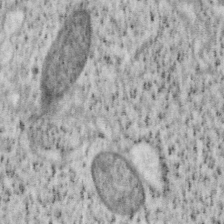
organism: Mouse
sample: OT-I killer T cells with ID8 ovarian cancer cells